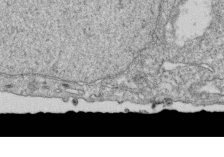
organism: Human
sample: HeLa cell HIV synapse